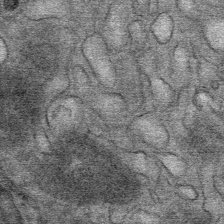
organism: Mouse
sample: Mouse Salivary gland